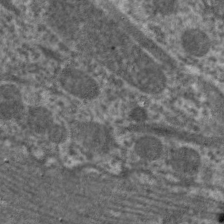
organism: C. elegans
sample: Pharynx